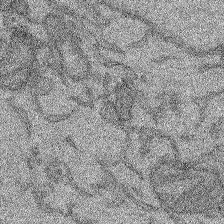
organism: Human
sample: HeLa cells